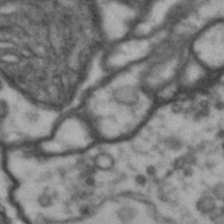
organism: Drosophila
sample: Brain